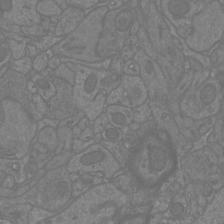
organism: Mouse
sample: Cortical neurons